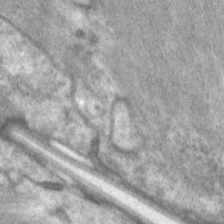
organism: C. elegans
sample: Pharynx